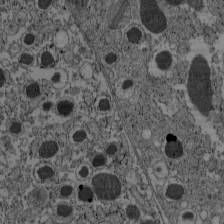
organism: C57BL Mouse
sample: Pancreatic islet